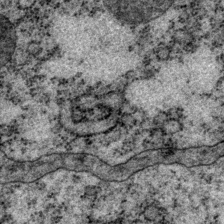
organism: P. pacificus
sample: Pharynx